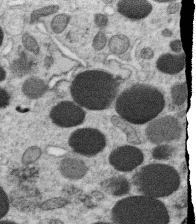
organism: C. elegans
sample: C. elegans oocyte; sperm cells